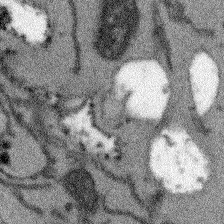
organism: Arabidopsis thaliana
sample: Root tip